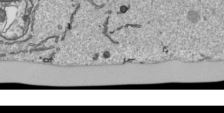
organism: Human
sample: Mitochondria in HCT116 cells